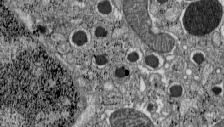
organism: C57BL Mouse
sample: Pancreatic islet